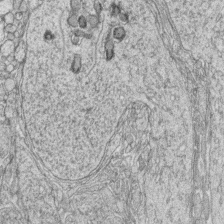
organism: Zebrafish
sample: synaptic ribbons in rod cells and cone cells